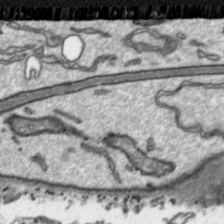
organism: Toxoplasma gondii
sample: Parasites in a vacuole inside a host cell